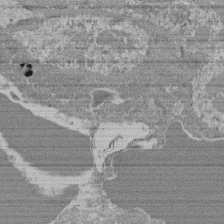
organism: Mouse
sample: Glomerulus